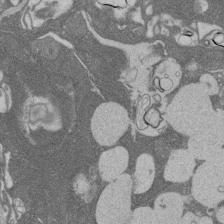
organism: Rat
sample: Salivary granule